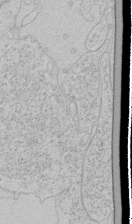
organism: Human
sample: Mitochondria in HCT116 cells